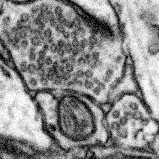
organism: Mouse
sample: Somatosensory cortex neuropil